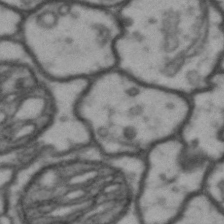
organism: Drosophila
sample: Brain